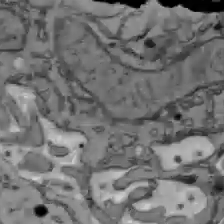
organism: C57BL Mouse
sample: Liver